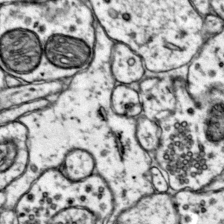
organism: Mouse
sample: Primary visual cortex